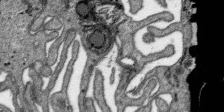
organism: Human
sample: Lung epithelial cells, uninfected (mock) control